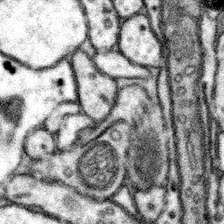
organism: Mouse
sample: Somatosensory cortex neuropil